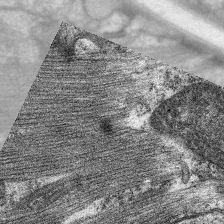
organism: C. elegans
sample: Pharynx